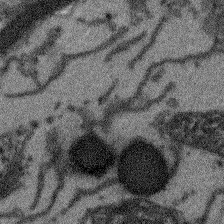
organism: Arabidopsis thaliana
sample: Root tip